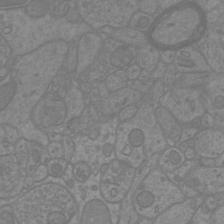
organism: Mouse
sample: Cortical neurons